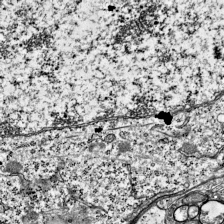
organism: Mouse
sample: Visual Cortex